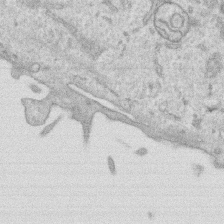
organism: Human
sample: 1205lu cells